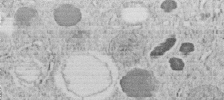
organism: C. elegans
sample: C. elegans embryo early stage